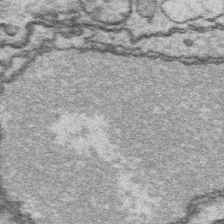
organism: Platynereis dumerilii